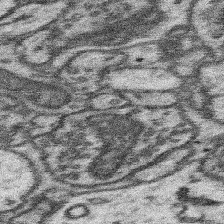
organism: Mouse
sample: Somatosensory cortex neuropil